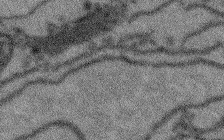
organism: Arabidopsis thaliana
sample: Root tip